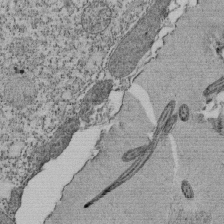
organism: Tetrahymena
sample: Cilia in tetrahymena